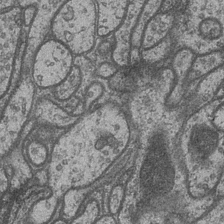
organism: Drosophila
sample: Optic medulla